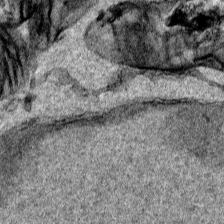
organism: Human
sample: Mitochondria in HCT116 cells